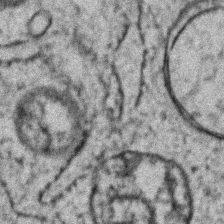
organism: Zebrafish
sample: Zebrafish embryo